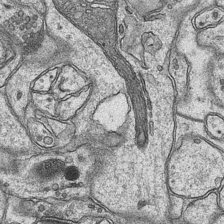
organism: Mouse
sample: CA1 Hippocampus